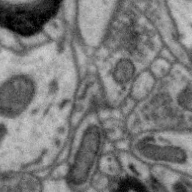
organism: Zebra finch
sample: Brain